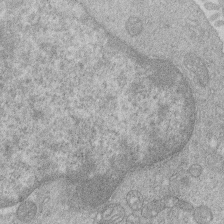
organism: Human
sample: Macrophage cells